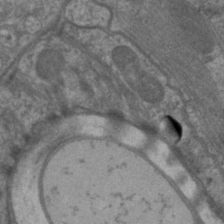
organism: C. elegans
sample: Pharynx